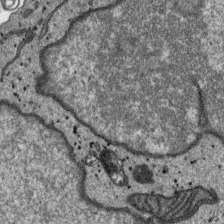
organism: Human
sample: Lung epithelial cells, uninfected (mock) control